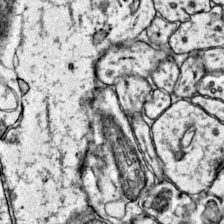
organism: Mouse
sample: Primary visual cortex